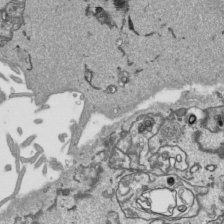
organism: Human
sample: Mitochondria in HCT116 cells